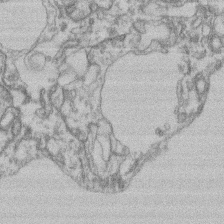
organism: Mouse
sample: T cell stromal cell synapse